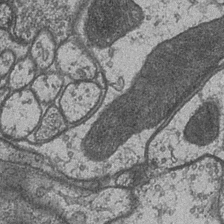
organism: Drosophila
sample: Optic medulla